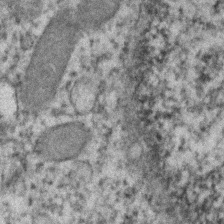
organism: Human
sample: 1205lu cells